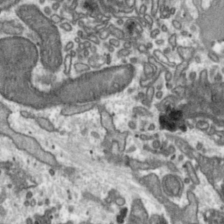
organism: Toxoplasma gondii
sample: Parasites in a vacuole inside a host cell